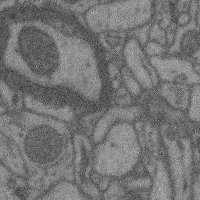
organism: Mouse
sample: Cerebral cortex